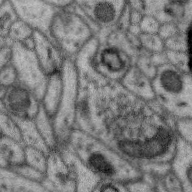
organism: Zebra finch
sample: Brain